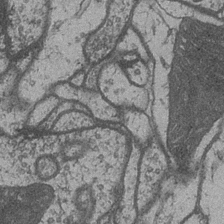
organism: Drosophila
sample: Optic medulla